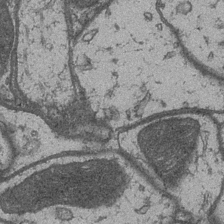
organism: Drosophila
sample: Optic medulla